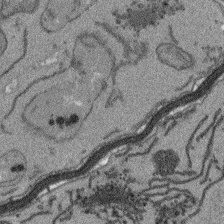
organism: Arabidopsis thaliana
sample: Root tip